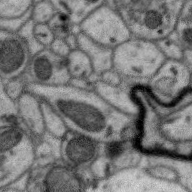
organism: Zebra finch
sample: Brain